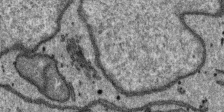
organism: Human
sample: Lung epithelial cells, uninfected (mock) control